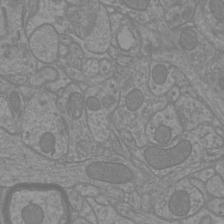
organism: Mouse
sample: Cortical neurons